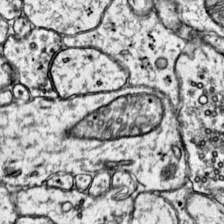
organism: Mouse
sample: Primary visual cortex